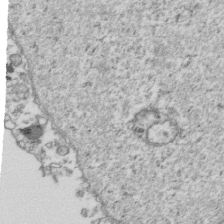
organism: Human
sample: Activated Jurkat CD4+ T cells